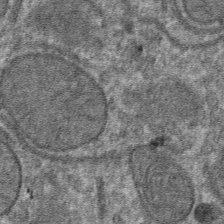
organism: Mouse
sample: Mouse hepatocytes